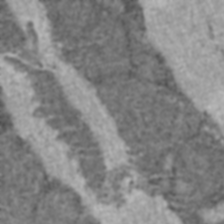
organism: C57BL Mouse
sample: Heart